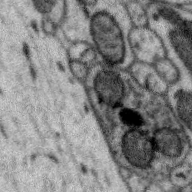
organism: Zebra finch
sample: Brain